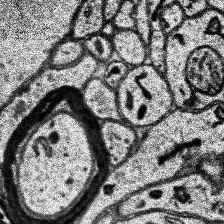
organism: Human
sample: Temporal Lobe